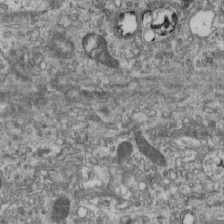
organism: Mouse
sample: Centriole in ependymal cells